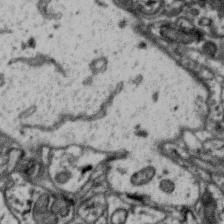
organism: Zebra finch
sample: Brain